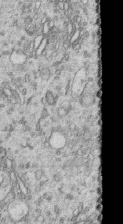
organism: Human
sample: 1205lu cells